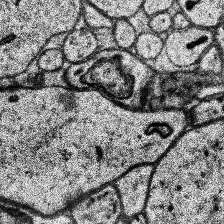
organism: Human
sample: Temporal Lobe